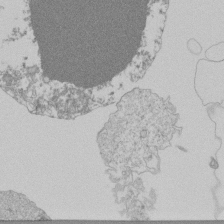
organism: Mouse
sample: Activated Pmel transgenic CD8+ T Cells